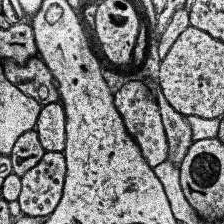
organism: Human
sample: Temporal Lobe